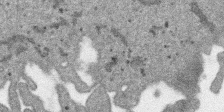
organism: Human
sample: Lung epithelial cells infected with SARS-CoV-2